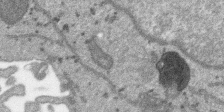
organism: Human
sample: Lung epithelial cells infected with SARS-CoV-2